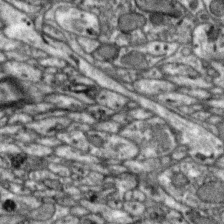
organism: Zebra finch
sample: Brain